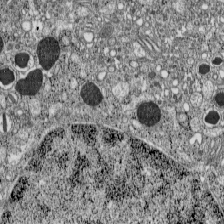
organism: C57BL Mouse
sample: Pancreatic islet